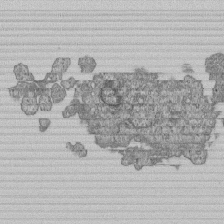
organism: Human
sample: MDA-MB-231 cells